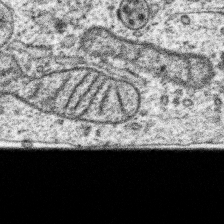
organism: Human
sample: HeLa cells